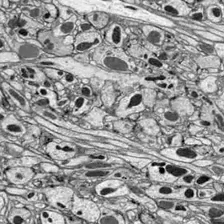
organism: Drosophila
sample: Optic lobe